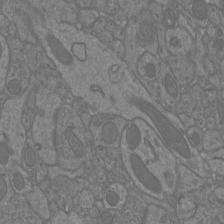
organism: Mouse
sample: Cortical neurons